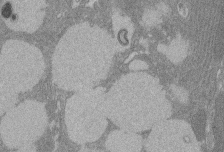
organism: Rat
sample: Salivary granule